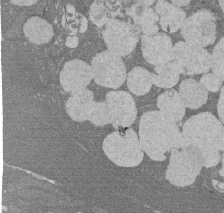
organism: Rat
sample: Salivary granule